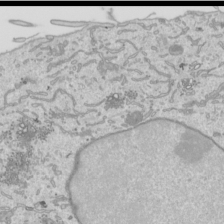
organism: Human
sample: Mitochondria in HCT116 cells